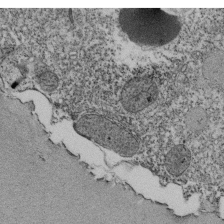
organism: Tetrahymena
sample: Cilia in tetrahymena